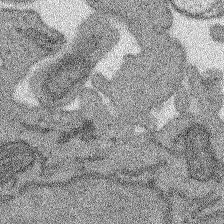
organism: Human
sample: HeLa cells